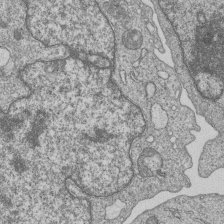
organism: Human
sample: MDA-MB-231 cells